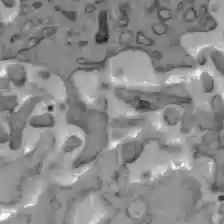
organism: C57BL Mouse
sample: Liver